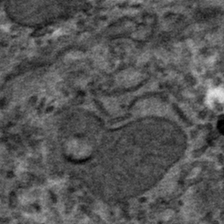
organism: Mouse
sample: Mouse hepatocytes